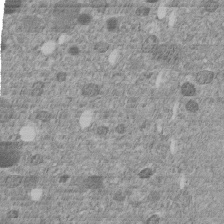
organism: C. elegans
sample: C. elegans embryo early stage